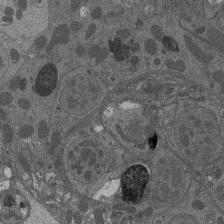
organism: Drosophila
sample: Antenna